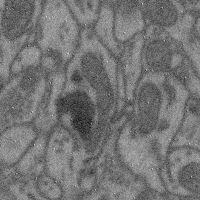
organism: Mouse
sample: Cerebral cortex